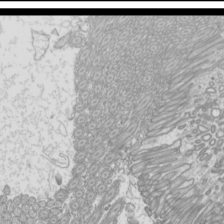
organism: Mouse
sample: Cilia; mouse epididymis